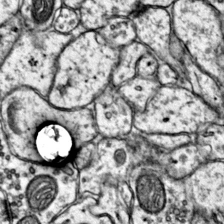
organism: Mouse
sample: Primary visual cortex